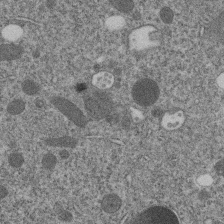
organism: C. elegans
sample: C. elegans embryo early stage